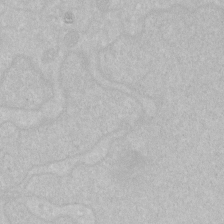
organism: Human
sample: HIV infected U937 cells